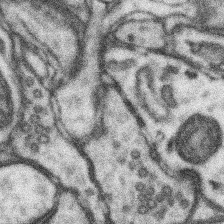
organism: Mouse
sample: Somatosensory cortex neuropil